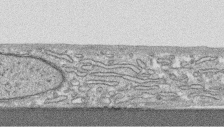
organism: Human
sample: CRL-1474